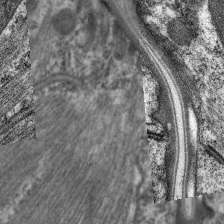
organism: C. elegans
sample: Pharynx